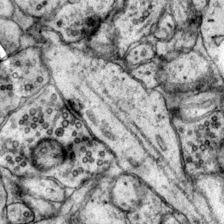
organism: Mouse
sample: Primary visual cortex